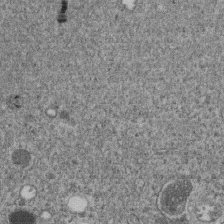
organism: C. elegans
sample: C. elegans embryo early stage